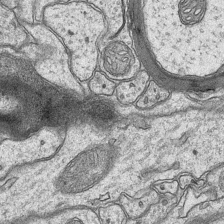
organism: Mouse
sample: CA1 Hippocampus